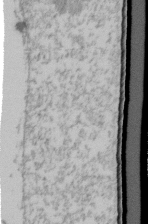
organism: Human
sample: U2-OS cells